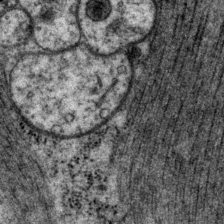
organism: P. pacificus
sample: Pharynx